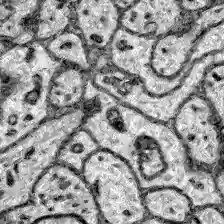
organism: Zebrafish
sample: Brain